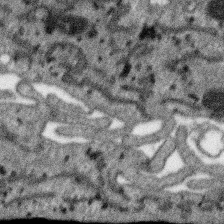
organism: Human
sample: Lung epithelial cells infected with SARS-CoV-2